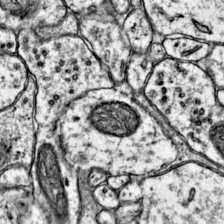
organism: Mouse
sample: Primary visual cortex